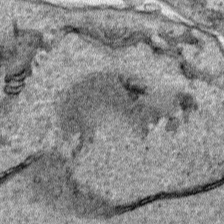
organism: Human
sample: Mitochondria in HCT116 cells